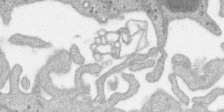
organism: Human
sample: Lung epithelial cells infected with SARS-CoV-2